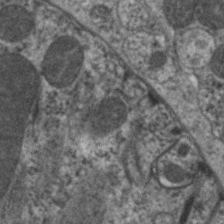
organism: C. elegans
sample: Pharynx